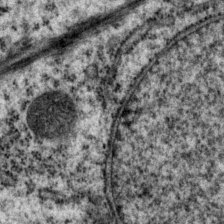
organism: P. pacificus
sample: Pharynx